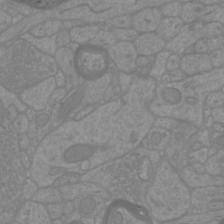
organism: Mouse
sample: Cortical neurons